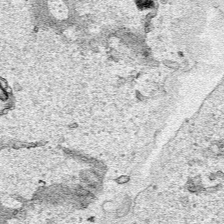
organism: Human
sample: Mitochondria in HCT116 cells